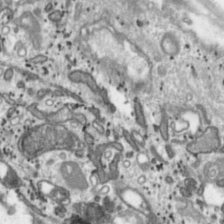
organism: Toxoplasma gondii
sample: Parasites in a vacuole inside a host cell